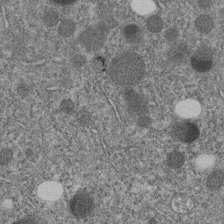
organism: C. elegans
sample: C. elegans embryo early stage